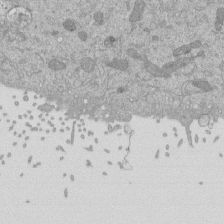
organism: Mouse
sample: ED-1 cell nuclei; centrioles